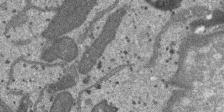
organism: Human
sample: Lung epithelial cells infected with SARS-CoV-2